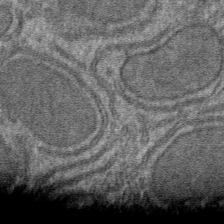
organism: Mouse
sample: Mouse hepatocytes